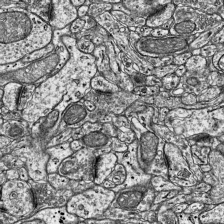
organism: Mouse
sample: Visual Cortex